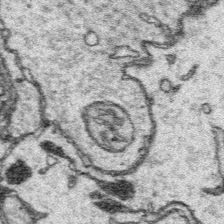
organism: Platynereis dumerilii